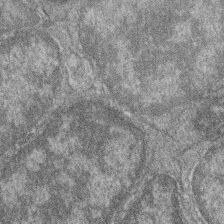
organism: Zebrafish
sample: Cilia; retinal pigment epithelium